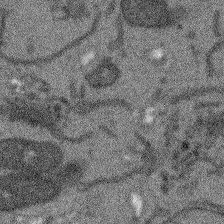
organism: Arabidopsis thaliana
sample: Root tip